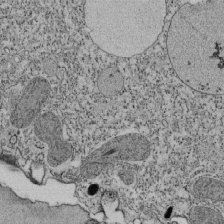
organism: Tetrahymena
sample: Cilia in tetrahymena